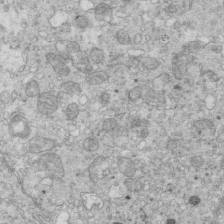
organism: Mouse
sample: Multiciliated cells